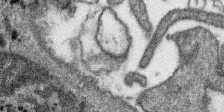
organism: Human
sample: Lung epithelial cells infected with SARS-CoV-2